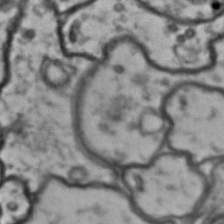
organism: Drosophila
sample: Brain